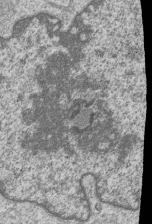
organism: Human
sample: MDA-MB-231 cells